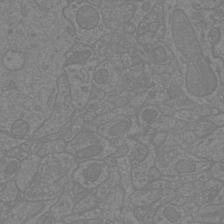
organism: Mouse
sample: Cortical neurons